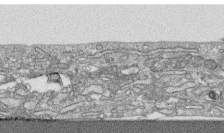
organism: Human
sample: CRL-1474